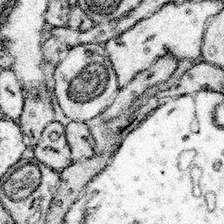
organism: Mouse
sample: Somatosensory cortex neuropil